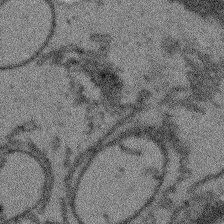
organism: Arabidopsis thaliana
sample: Root tip